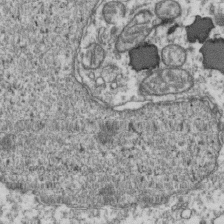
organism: Human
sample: Activated Jurkat CD4+ T cells